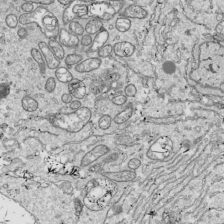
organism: Drosophila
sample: Cell division; meiosis; drosophila spermatocytes